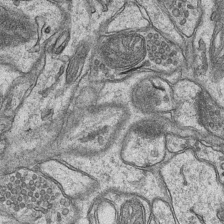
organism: Mouse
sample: CA1 Hippocampus